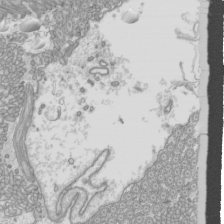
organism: Mouse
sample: Cilia; mouse epididymis